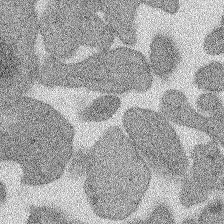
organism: Human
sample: HeLa cells